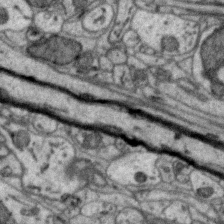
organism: Zebra finch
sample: Brain